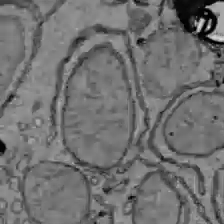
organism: C57BL Mouse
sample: Liver